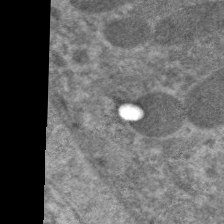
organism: C. elegans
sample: Pharynx